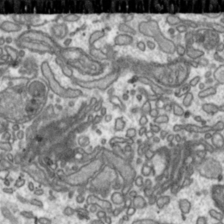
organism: Toxoplasma gondii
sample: Parasites in a vacuole inside a host cell